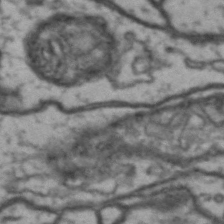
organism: Drosophila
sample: Brain